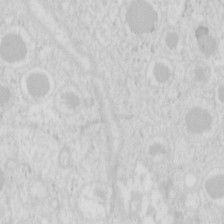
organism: Mouse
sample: Pancreas